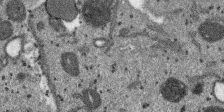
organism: Human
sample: Lung epithelial cells infected with SARS-CoV-2